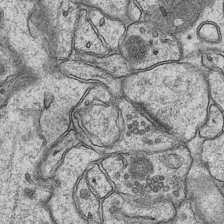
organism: Mouse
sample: CA1 Hippocampus